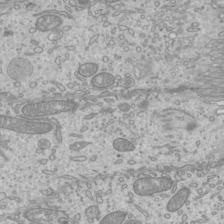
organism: Mouse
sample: Cilia; mouse epididymis